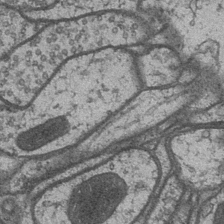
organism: Drosophila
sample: Optic medulla